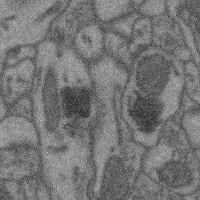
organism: Mouse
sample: Cerebral cortex